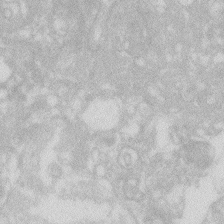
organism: Zebrafish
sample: Macrophage